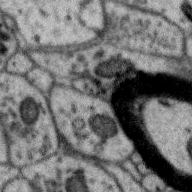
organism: Zebra finch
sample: Brain